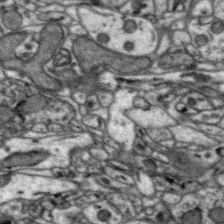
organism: Zebra finch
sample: Brain